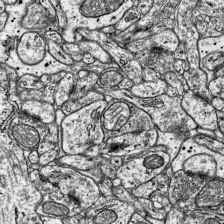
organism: Mouse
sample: Visual Cortex